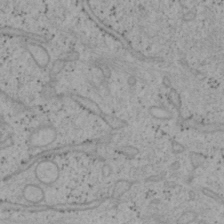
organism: Human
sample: HeLa cells